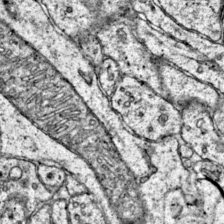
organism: Mouse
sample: Primary visual cortex